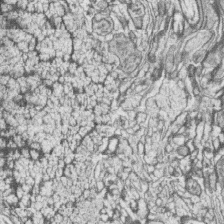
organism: Zebrafish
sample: synaptic ribbons in rod cells and cone cells